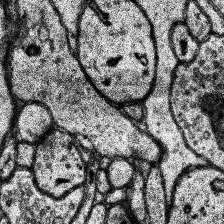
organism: Human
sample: Temporal Lobe